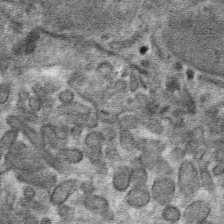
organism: Mouse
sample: Mouse hepatocytes